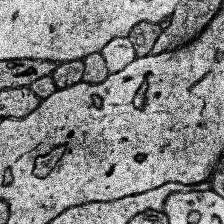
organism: Human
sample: Temporal Lobe